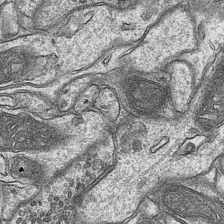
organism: Mouse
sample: CA1 Hippocampus